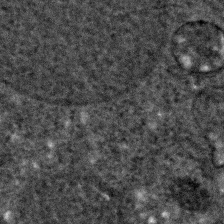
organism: C. elegans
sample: C. elegans embryo